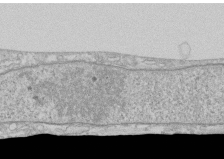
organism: Human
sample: CRL-1474